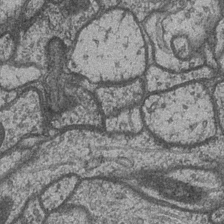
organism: Drosophila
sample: Optic medulla